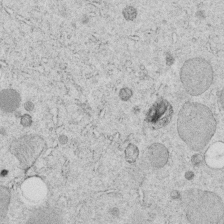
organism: C. elegans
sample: C. elegans embryo early stage